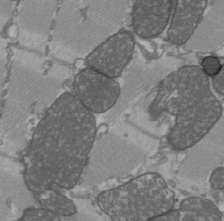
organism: C57BL Mouse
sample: Heart